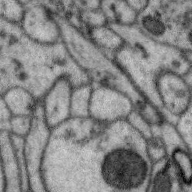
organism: Zebra finch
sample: Brain